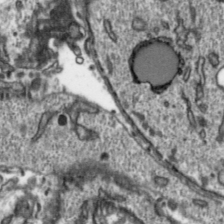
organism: Toxoplasma gondii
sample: Parasites in a vacuole inside a host cell